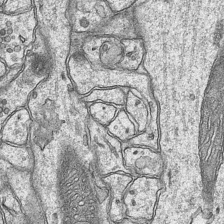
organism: Mouse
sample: CA1 Hippocampus